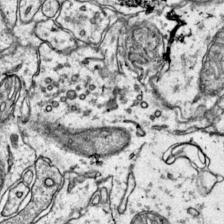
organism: Mouse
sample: Primary visual cortex